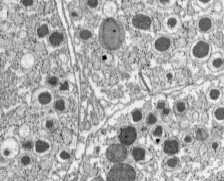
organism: C57BL Mouse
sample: Pancreatic islet